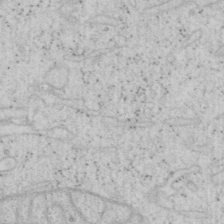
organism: Human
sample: HeLa cells